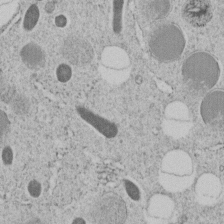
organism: C. elegans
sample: C. elegans embryo early stage